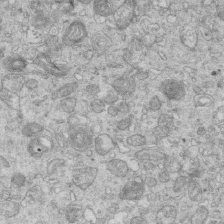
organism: Mouse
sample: Multiciliated cells